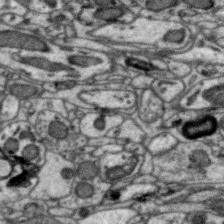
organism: Zebra finch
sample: Brain